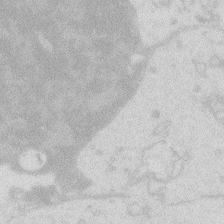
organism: Zebrafish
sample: Macrophage